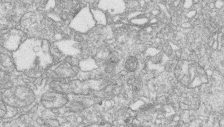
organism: Human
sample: HeLa cell HIV synapse